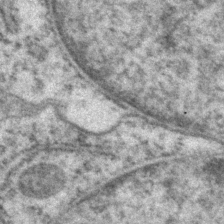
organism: P. pacificus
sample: Pharynx